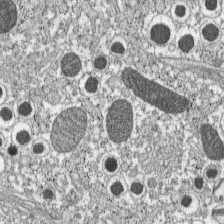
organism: C57BL Mouse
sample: Pancreatic islet